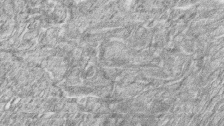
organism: Zebrafish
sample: synaptic ribbons in rod cells and cone cells